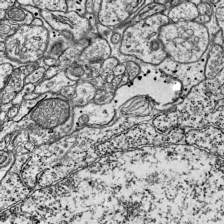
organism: Mouse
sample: Visual Cortex